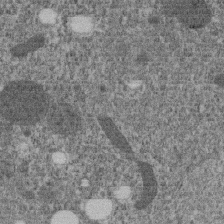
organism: C. elegans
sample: C. elegans embryo early stage